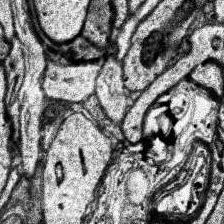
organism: Human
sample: Temporal Lobe